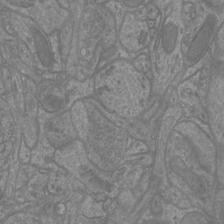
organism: Mouse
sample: Cortical neurons